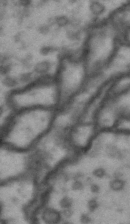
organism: Drosophila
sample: Brain